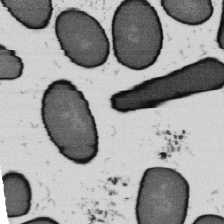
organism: B. subtilis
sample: Bacterial spore